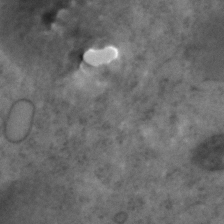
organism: C. elegans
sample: C. elegans embryo